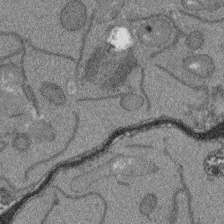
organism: Arabidopsis thaliana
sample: Root tip